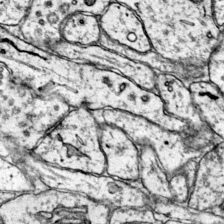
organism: Mouse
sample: Primary visual cortex